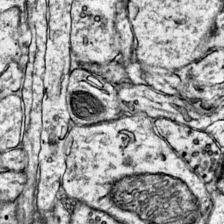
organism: Mouse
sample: Primary visual cortex